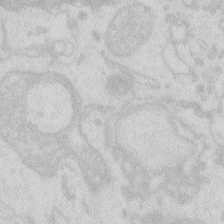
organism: Zebrafish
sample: Macrophage